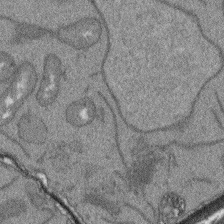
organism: Arabidopsis thaliana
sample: Root tip